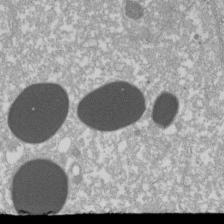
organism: Xenopus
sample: Cilia; centrioles in frog embryo cells